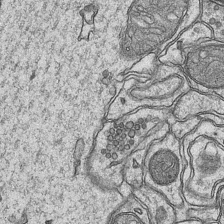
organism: Mouse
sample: CA1 Hippocampus